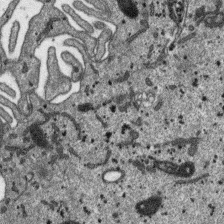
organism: Human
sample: Lung epithelial cells infected with SARS-CoV-2